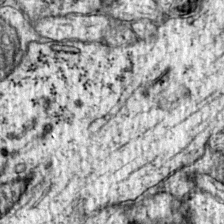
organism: Mouse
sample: Primary visual cortex